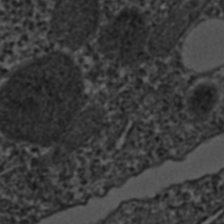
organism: C. elegans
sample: C. elegans embryo